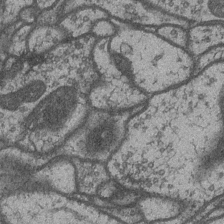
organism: Drosophila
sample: Optic medulla